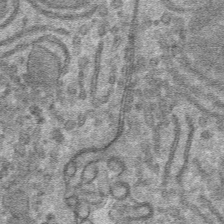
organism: Mouse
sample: Mouse hepatocytes